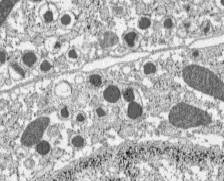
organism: C57BL Mouse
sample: Pancreatic islet